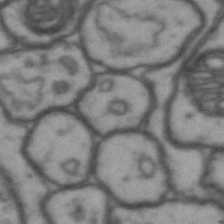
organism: Drosophila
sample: Brain